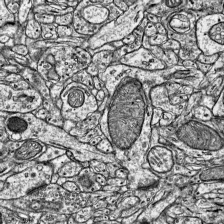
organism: Mouse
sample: Visual Cortex